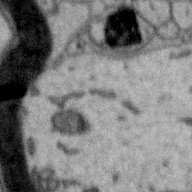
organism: Zebra finch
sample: Brain